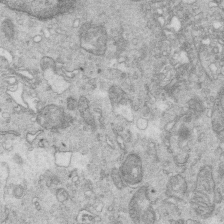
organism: Mouse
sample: Multiciliated cells